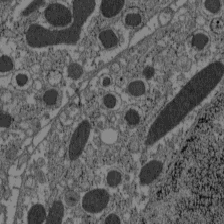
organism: C57BL Mouse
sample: Pancreatic islet